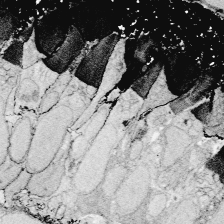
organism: Zebrafish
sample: Whole-Brain